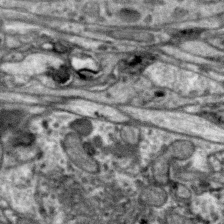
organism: Zebra finch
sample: Brain